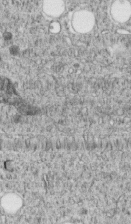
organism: C. elegans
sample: C. elegans embryo early stage